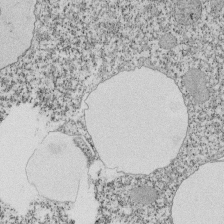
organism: Tetrahymena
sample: Cilia in tetrahymena